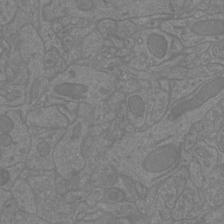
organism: Mouse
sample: Cortical neurons